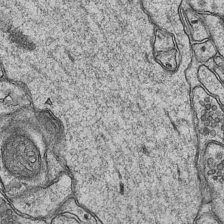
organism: Mouse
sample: CA1 Hippocampus